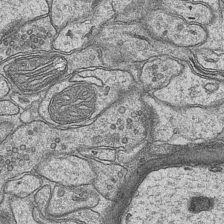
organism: Mouse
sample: CA1 Hippocampus